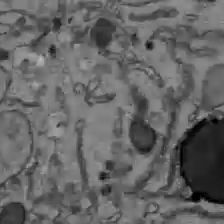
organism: C57BL Mouse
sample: Liver